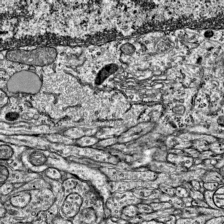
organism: Mouse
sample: Visual Cortex